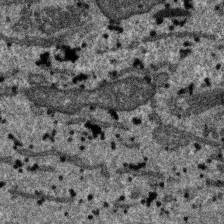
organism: Human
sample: Lung epithelial cells infected with SARS-CoV-2